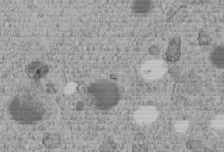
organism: C. elegans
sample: C. elegans embryo early stage